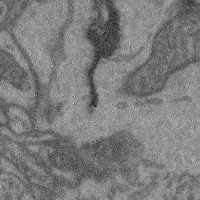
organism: Mouse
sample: Cerebral cortex